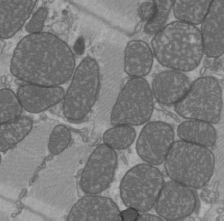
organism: C57BL Mouse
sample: Heart